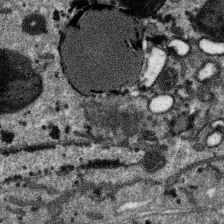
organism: Human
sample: Lung epithelial cells infected with SARS-CoV-2